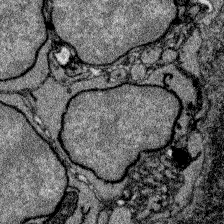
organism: Zebrafish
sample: Larval olfactory bulb